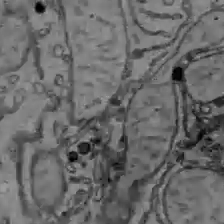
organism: C57BL Mouse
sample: Liver